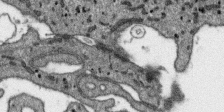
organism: Human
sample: Lung epithelial cells, uninfected (mock) control